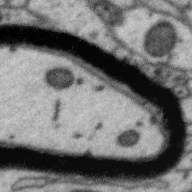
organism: Zebra finch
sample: Brain